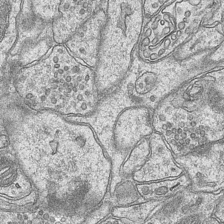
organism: Mouse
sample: CA1 Hippocampus